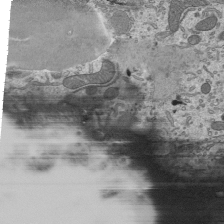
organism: Mouse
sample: Mouse epididymis efferent ductule cilia